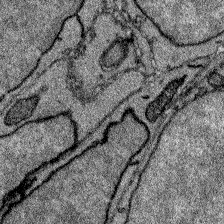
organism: Zebrafish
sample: Larval olfactory bulb